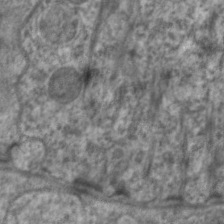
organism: C. elegans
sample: Pharynx